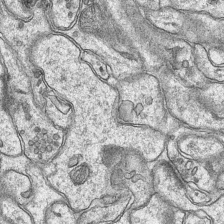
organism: Mouse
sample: CA1 Hippocampus